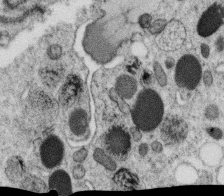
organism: C. elegans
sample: C. elegans oocyte; sperm cells